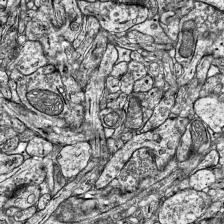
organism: Mouse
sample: Visual Cortex